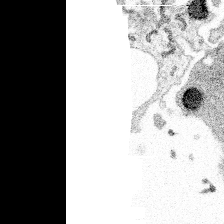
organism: Spongilla lacustris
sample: Multiple